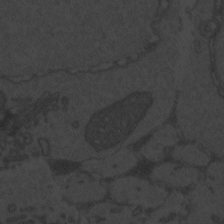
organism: Zebrafish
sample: Macrophage infected with Toxoplasma gondii